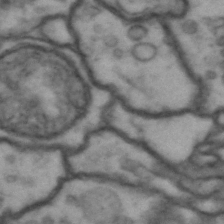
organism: Drosophila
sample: Brain